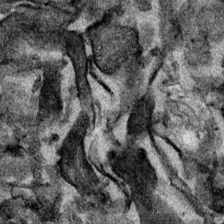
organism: Mouse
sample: Cancer cell death in ED-1 cells